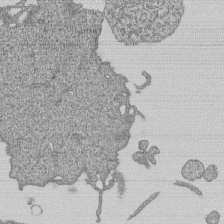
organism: Human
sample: MDA-MB-231 cells